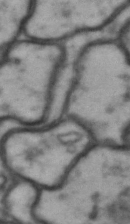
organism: Drosophila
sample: Brain